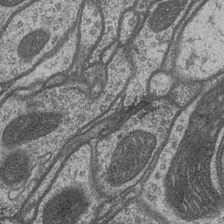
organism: Drosophila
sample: Optic medulla